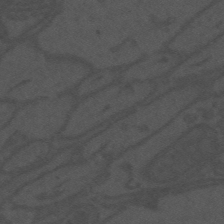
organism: Mouse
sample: Suprachiasmatic nucleus